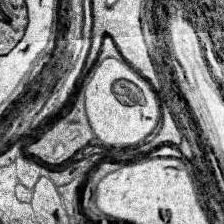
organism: Human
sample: Temporal Lobe